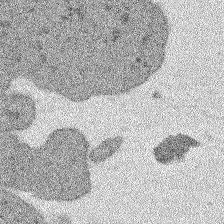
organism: Human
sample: HeLa cells